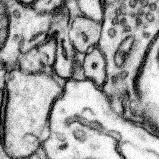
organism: Mouse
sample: Somatosensory cortex neuropil